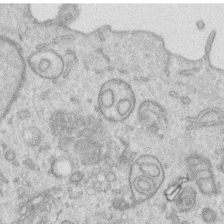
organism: Human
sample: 1205lu cells